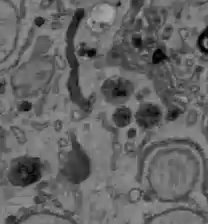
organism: C57BL Mouse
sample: Liver